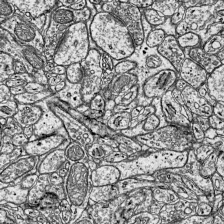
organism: Mouse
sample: Visual Cortex